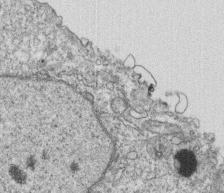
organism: Human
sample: HeLa cell HIV synapse